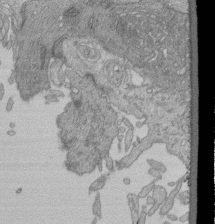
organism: Human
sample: Retinal organoid Rod and Cone cells